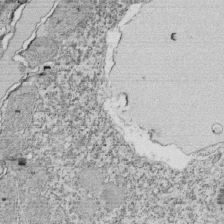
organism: Tetrahymena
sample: Cilia in tetrahymena